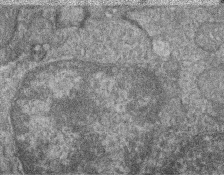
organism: Zebrafish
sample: Cilia; retinal pigment epithelium